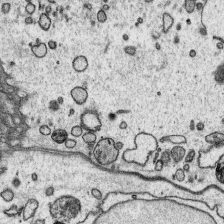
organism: Platynereis dumerilii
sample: Parapodia